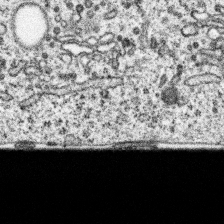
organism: Human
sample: HeLa cells